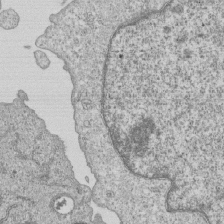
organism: Human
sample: MDA-MB-231 cells